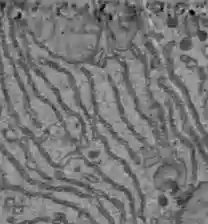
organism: C57BL Mouse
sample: Liver